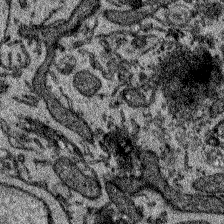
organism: Zebrafish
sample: Larval olfactory bulb